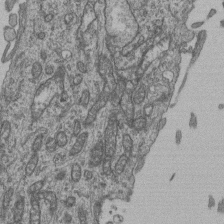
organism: Human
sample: Retinal organoid Rod and Cone cells